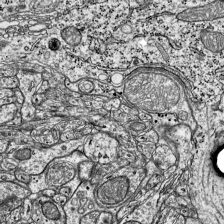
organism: Mouse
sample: Visual Cortex